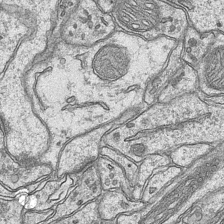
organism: Mouse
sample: CA1 Hippocampus